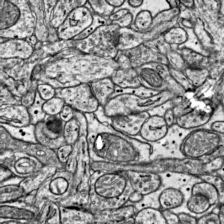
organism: Mouse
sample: Visual Cortex